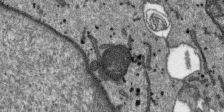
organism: Human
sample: Lung epithelial cells, uninfected (mock) control